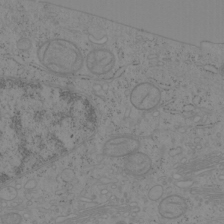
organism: Human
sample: HeLa cells